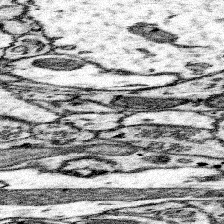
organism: Mouse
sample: Somatosensory cortex neuropil